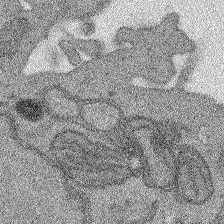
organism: Human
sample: HeLa cells